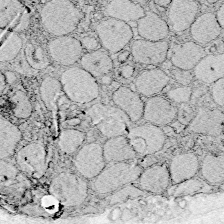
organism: Zebrafish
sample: Whole-Brain